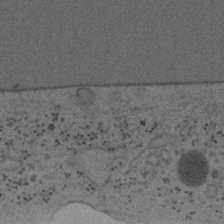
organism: Human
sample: HeLa cells